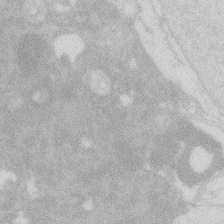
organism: Zebrafish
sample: Macrophage